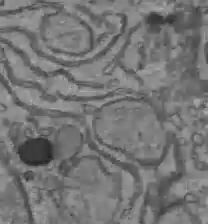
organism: C57BL Mouse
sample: Liver